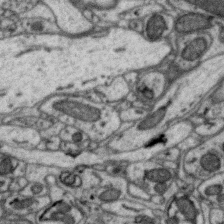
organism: Zebra finch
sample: Brain